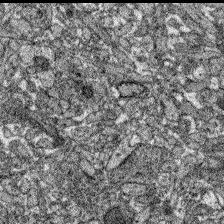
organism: Zebrafish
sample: Larval olfactory bulb